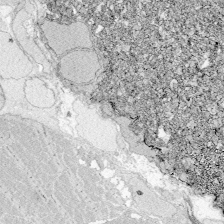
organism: Zebrafish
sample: Whole-Brain